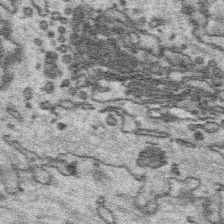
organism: Platynereis dumerilii